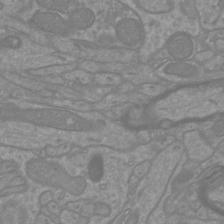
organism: Mouse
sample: Cortical neurons